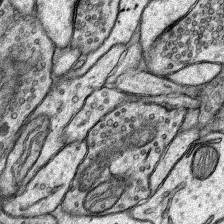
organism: Rat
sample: Hippocampus